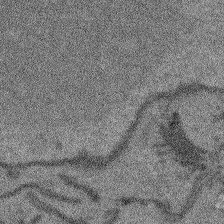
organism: Arabidopsis thaliana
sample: Root tip